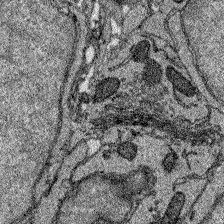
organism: Zebrafish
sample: Larval olfactory bulb